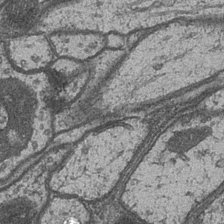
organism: Drosophila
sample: Optic medulla